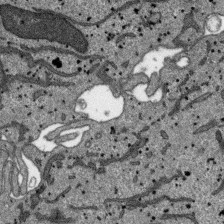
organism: Human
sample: Lung epithelial cells, uninfected (mock) control